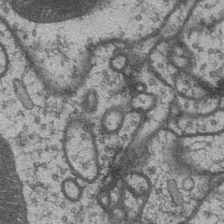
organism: Drosophila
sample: Optic medulla